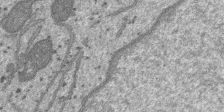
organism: Human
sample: Lung epithelial cells infected with SARS-CoV-2